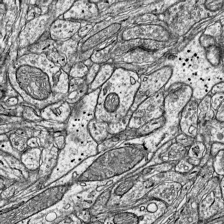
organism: Mouse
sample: Visual Cortex